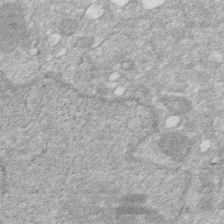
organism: Human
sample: HIV infected U937 cells